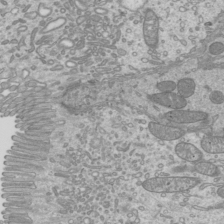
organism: Mouse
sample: Cilia; mouse epididymis